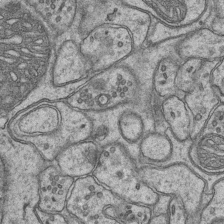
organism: Mouse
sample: CA1 Hippocampus